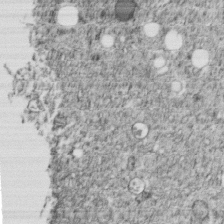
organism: C. elegans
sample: C. elegans embryo early stage